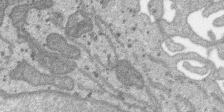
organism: Human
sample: Lung epithelial cells infected with SARS-CoV-2